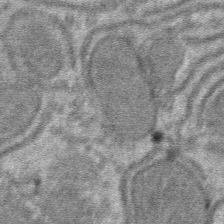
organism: Mouse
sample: Mouse hepatocytes